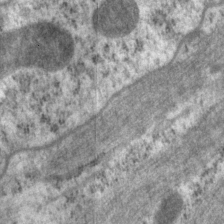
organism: P. pacificus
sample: Pharynx